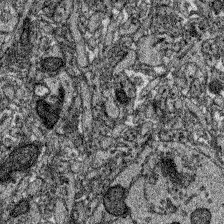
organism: Zebrafish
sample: Larval olfactory bulb